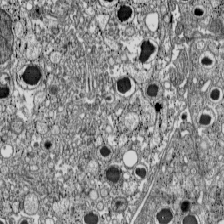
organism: C57BL Mouse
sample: Pancreatic islet